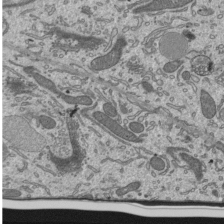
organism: Mouse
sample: Mouse epididymis efferent ductule cilia